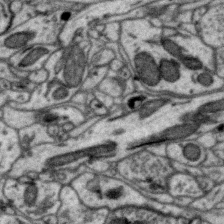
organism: Zebra finch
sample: Brain